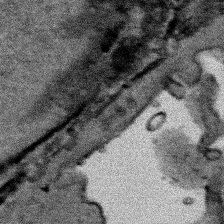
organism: Human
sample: Mitochondria in HCT116 cells